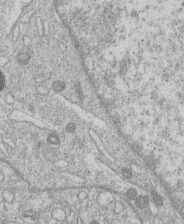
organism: Human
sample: Macrophage cells